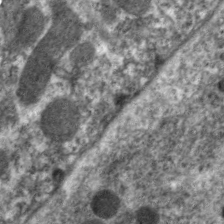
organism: C. elegans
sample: Pharynx